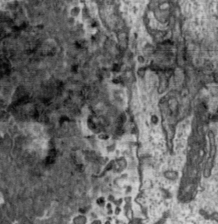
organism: Toxoplasma gondii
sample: Parasites in a vacuole inside a host cell